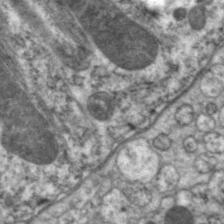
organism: C. elegans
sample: Pharynx